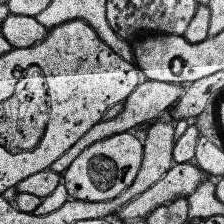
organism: Human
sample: Temporal Lobe